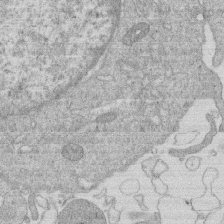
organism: Human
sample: Macrophage cells